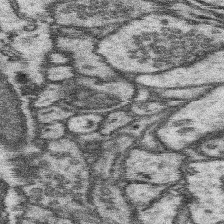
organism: Mouse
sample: Somatosensory cortex neuropil